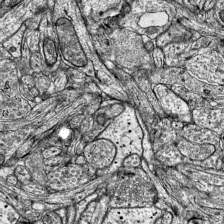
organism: Mouse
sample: Visual Cortex